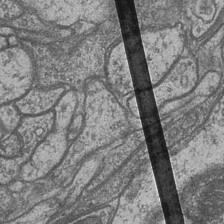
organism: Drosophila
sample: Optic medulla